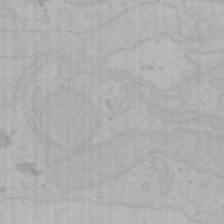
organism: Mouse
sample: Choroid plexus